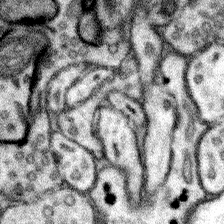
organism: Mouse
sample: Somatosensory cortex neuropil